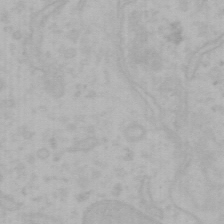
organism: Mouse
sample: Choroid plexus